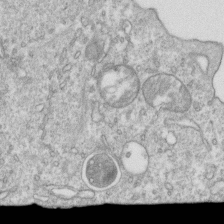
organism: Mouse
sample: Activated OT-1 CD8+ T cells